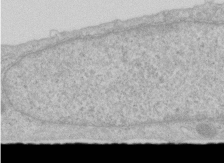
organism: Human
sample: Centriole in RPE cells